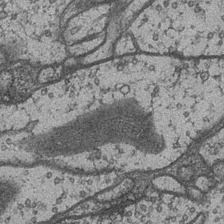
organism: Drosophila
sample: Optic medulla